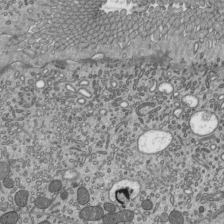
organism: Mouse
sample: Mouse epididymis efferent ductule cilia